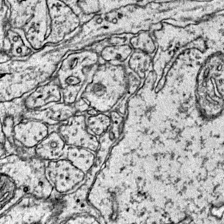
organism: Mouse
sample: Primary visual cortex